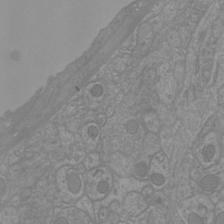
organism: Mouse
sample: Cortical neurons